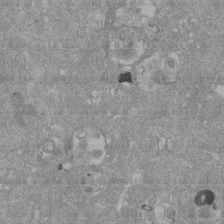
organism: Mouse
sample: ED-1 cell nuclei; centrioles